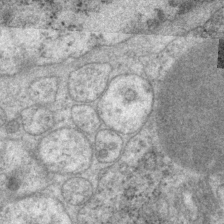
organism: P. pacificus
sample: Pharynx